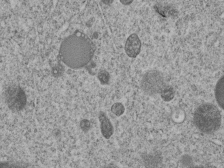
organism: C. elegans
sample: C. elegans embryo early stage